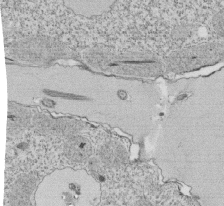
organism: Tetrahymena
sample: Cilia in tetrahymena